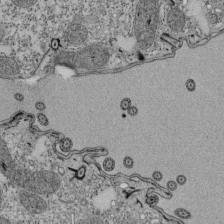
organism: Tetrahymena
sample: Cilia in tetrahymena